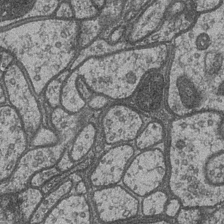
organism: Drosophila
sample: Optic medulla